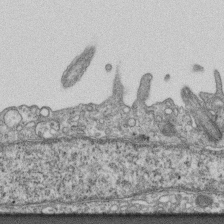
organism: Mouse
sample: Centriole in ependymal cells